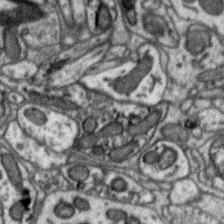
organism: Zebra finch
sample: Brain